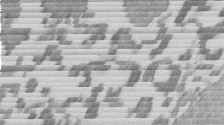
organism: Mouse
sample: Dividing mouse embryo 1 cell stage